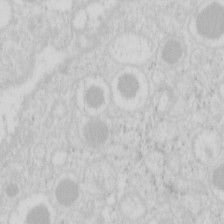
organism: Mouse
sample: Pancreas